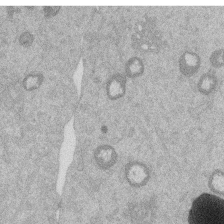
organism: Mouse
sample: Dividing mouse embryo 1 cell stage